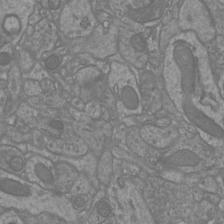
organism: Mouse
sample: Cortical neurons